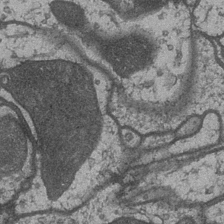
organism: Drosophila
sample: Optic medulla